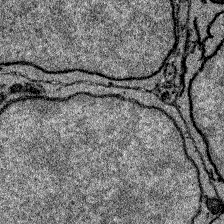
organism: Zebrafish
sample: Larval olfactory bulb